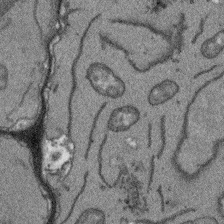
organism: Arabidopsis thaliana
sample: Root tip